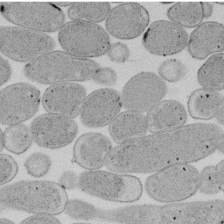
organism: E. coli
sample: Bacterial nucleoid